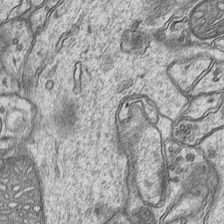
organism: Mouse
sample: CA1 Hippocampus